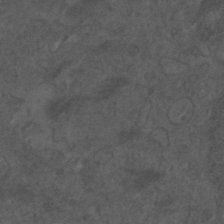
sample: Trachea